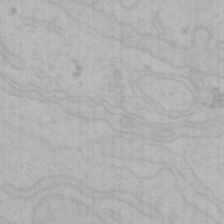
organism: Mouse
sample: Choroid plexus